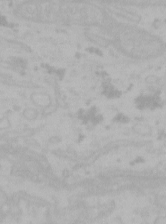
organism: Mouse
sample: Choroid plexus